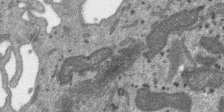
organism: Human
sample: Lung epithelial cells infected with SARS-CoV-2